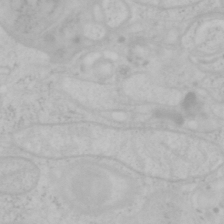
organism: Mouse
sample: OT-I killer T cells with ID8 ovarian cancer cells